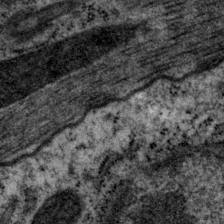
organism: P. pacificus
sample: Pharynx